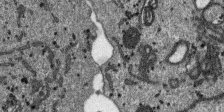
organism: Human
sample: Lung epithelial cells infected with SARS-CoV-2